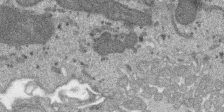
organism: Human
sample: Lung epithelial cells infected with SARS-CoV-2